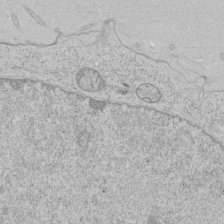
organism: Human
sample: Mitochondria in HCT116 cells